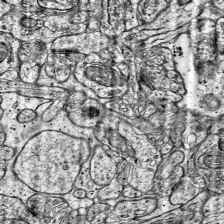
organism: Mouse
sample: Visual Cortex